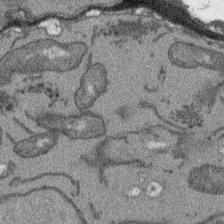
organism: Arabidopsis thaliana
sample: Root tip